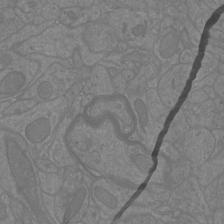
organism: Mouse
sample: Cortical neurons